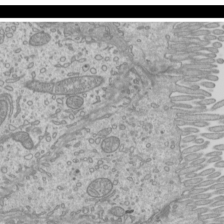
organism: Mouse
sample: Cilia; mouse epididymis